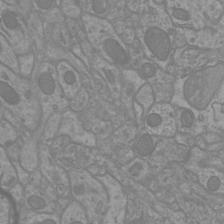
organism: Mouse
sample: Cortical neurons